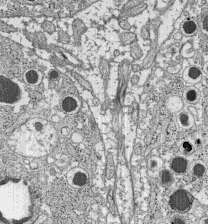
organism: C57BL Mouse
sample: Pancreatic islet